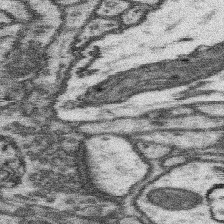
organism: Mouse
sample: Somatosensory cortex neuropil